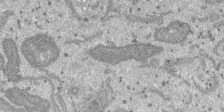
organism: Human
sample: Lung epithelial cells infected with SARS-CoV-2